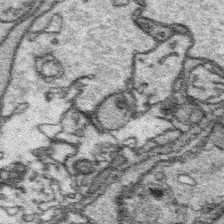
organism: Platynereis dumerilii